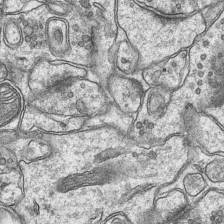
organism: Mouse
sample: CA1 Hippocampus